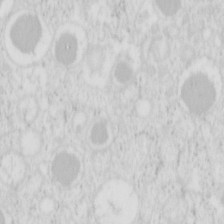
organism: Mouse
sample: Pancreas